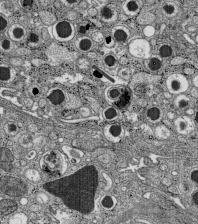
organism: C57BL Mouse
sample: Pancreatic islet